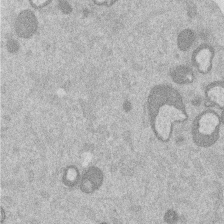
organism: Mouse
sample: Dividing mouse embryo 1 cell stage